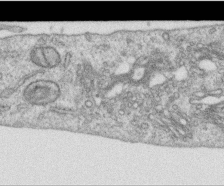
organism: Human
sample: Centriole in RPE cells